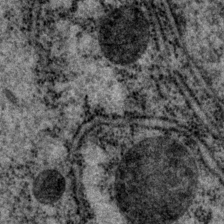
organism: P. pacificus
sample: Pharynx